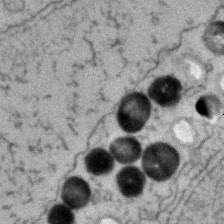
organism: Zebrafish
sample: Zebrafish embryo